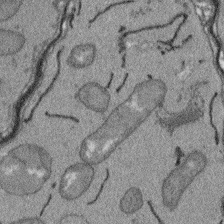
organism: Arabidopsis thaliana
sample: Root tip